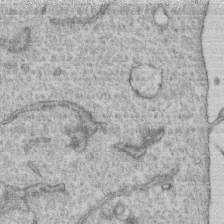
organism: Human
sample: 1205lu cells